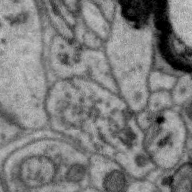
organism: Zebra finch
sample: Brain